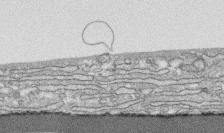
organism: Human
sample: CRL-1474